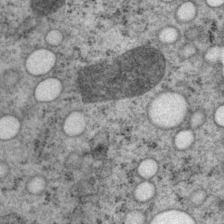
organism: P. pacificus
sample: Pharynx